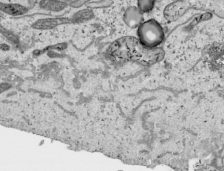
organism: Human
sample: Mitochondria in HCT116 cells